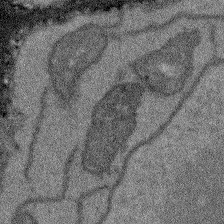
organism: Arabidopsis thaliana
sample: Root tip